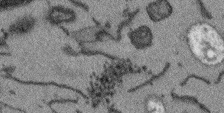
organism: Arabidopsis thaliana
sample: Root tip